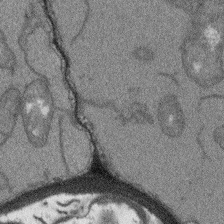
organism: Arabidopsis thaliana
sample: Root tip